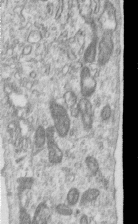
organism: Human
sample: Centriole in RPE cells